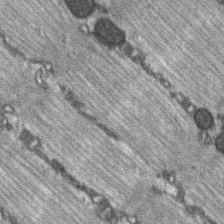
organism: C57BL Mouse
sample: Soleus